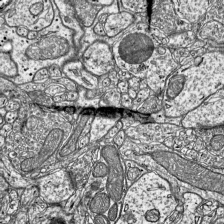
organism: Mouse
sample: Visual Cortex